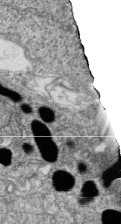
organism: Zebrafish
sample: Cilia; retinal pigment epithelium